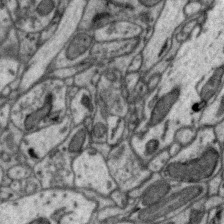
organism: Zebra finch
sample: Brain